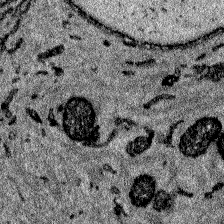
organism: Zebrafish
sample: Larval olfactory bulb